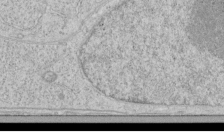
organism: Human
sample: Mitochondria in HCT116 cells